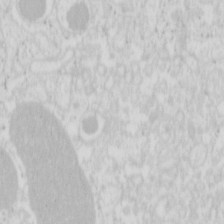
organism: Mouse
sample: Pancreas